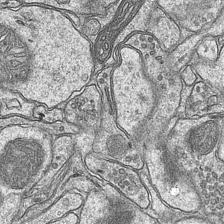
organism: Mouse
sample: CA1 Hippocampus